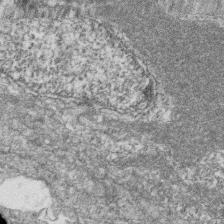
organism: Zebrafish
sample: Cilia; retinal pigment epithelium